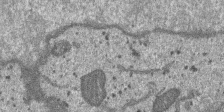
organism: Human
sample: Lung epithelial cells infected with SARS-CoV-2